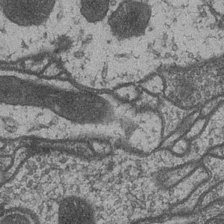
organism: Drosophila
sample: Optic medulla